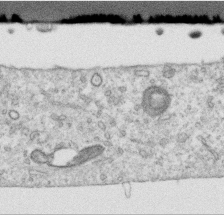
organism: Human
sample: Centriole in RPE cells